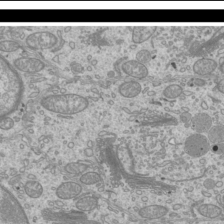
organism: Mouse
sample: Cilia; mouse epididymis